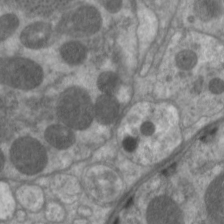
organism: C. elegans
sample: Pharynx